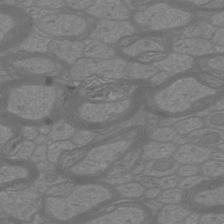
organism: Mouse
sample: Cortical neurons